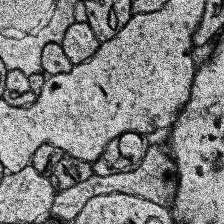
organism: Human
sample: Temporal Lobe